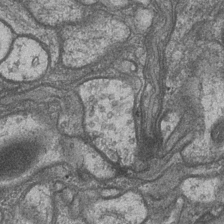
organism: Drosophila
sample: Optic medulla